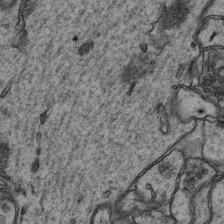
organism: Mouse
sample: CA1 Hippocampus